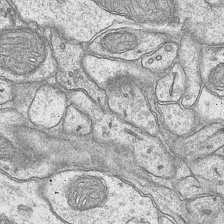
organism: Mouse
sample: CA1 Hippocampus